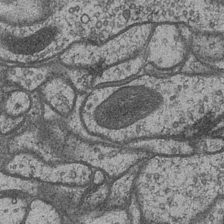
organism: Drosophila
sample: Optic medulla